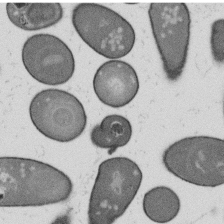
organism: B. subtilis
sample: Bacterial spore